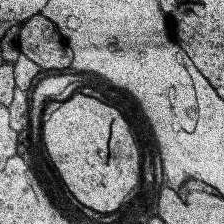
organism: Human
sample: Temporal Lobe